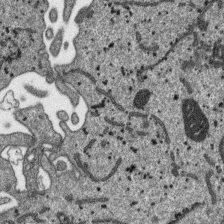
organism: Human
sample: Lung epithelial cells infected with SARS-CoV-2